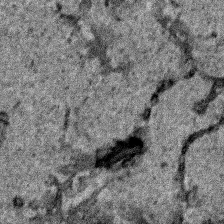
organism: Human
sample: Mitochondria in HCT116 cells